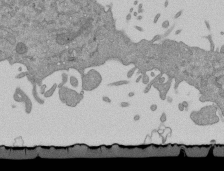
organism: Mouse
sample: ED-1 cell nuclei; centrioles